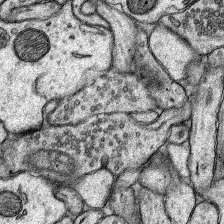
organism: Rat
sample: Hippocampus